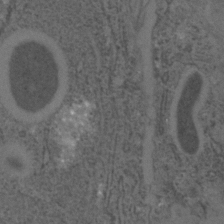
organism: C. elegans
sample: C. elegans embryo